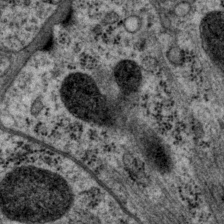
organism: P. pacificus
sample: Pharynx